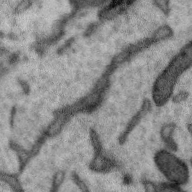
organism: Zebra finch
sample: Brain